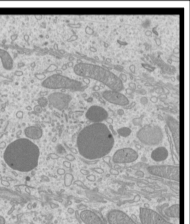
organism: Mouse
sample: Cilia; mouse epididymis